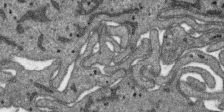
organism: Human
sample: Lung epithelial cells, uninfected (mock) control